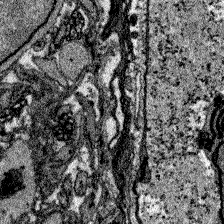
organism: Zebrafish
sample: Larval olfactory bulb